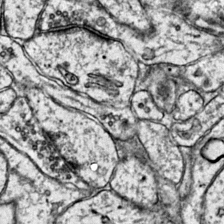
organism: Mouse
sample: Primary visual cortex